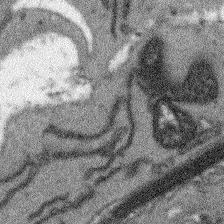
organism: Arabidopsis thaliana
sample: Root tip